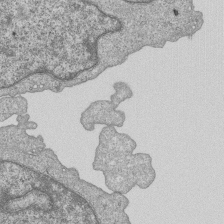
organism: Human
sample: MDA-MB-231 cells